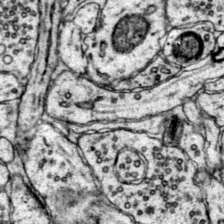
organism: Mouse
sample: Primary visual cortex